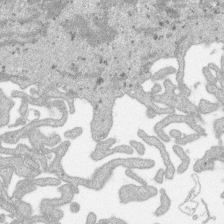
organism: Human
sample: Lung epithelial cells infected with SARS-CoV-2